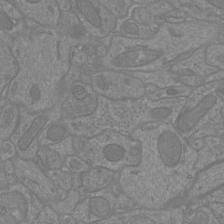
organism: Mouse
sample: Cortical neurons